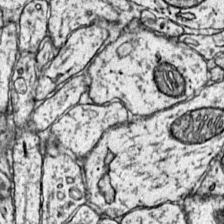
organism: Mouse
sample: Primary visual cortex